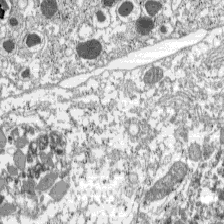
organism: C57BL Mouse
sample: Pancreatic islet